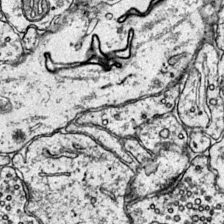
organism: Mouse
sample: Primary visual cortex